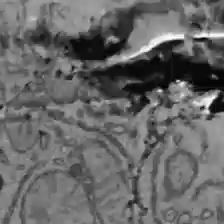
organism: C57BL Mouse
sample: Liver